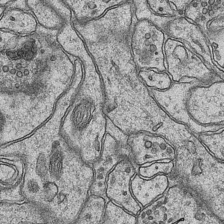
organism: Mouse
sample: CA1 Hippocampus